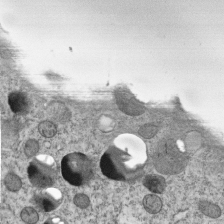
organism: C. elegans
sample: C. elegans embryo early stage